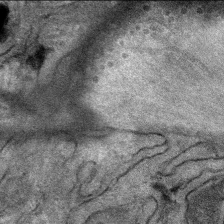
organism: Mouse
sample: Mouse Salivary gland